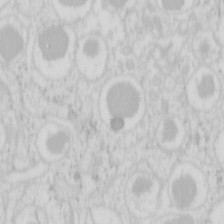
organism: Mouse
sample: Pancreas